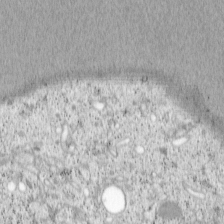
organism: African green monkey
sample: COS-7 cells